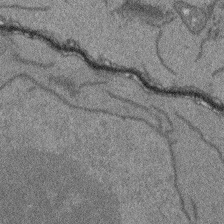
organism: Arabidopsis thaliana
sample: Root tip